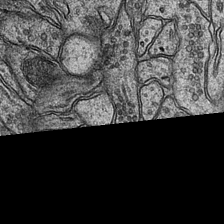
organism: Mouse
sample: CA1 Hippocampus